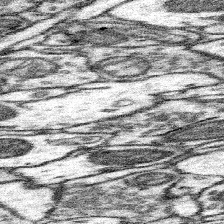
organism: Mouse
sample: Somatosensory cortex neuropil